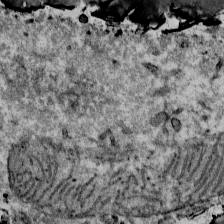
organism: Mouse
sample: Mouse Salivary gland